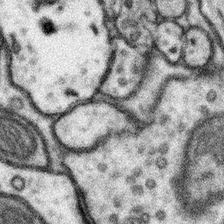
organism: Mouse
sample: Somatosensory cortex neuropil